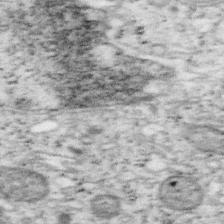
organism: Mouse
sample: OT-I killer T cells with ID8 ovarian cancer cells